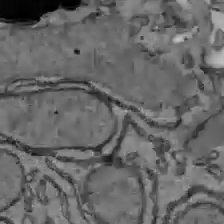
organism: C57BL Mouse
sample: Liver